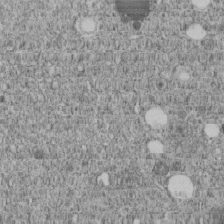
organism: C. elegans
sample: C. elegans embryo early stage